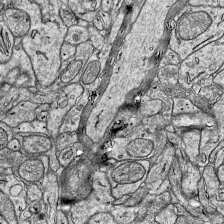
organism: Mouse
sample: Visual Cortex